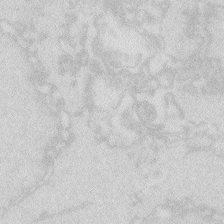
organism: Zebrafish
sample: Macrophage